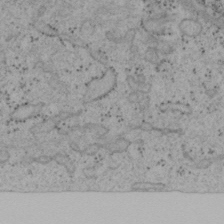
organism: Human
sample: HeLa cells